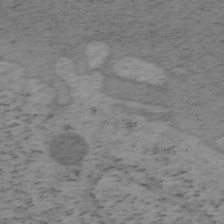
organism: Mouse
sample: OT-I killer T cells with ID8 ovarian cancer cells